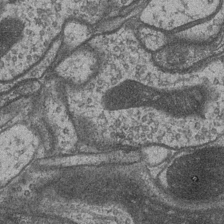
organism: Drosophila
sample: Optic medulla